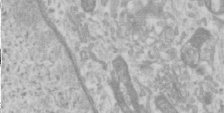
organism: Human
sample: Cilia; basal body in RPE cells